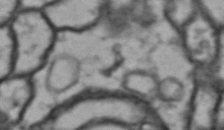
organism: Drosophila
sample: Brain